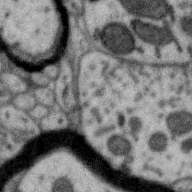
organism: Zebra finch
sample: Brain